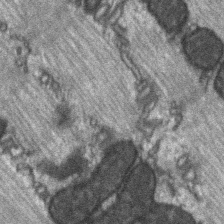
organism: C57BL Mouse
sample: Soleus